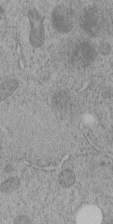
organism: C. elegans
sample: C. elegans embryo early stage